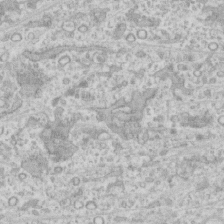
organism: Human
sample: CRL-1474